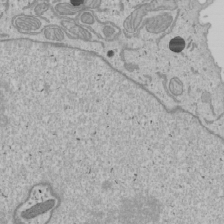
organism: Human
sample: Mitochondria in U2OS cells